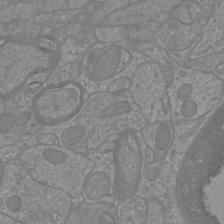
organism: Mouse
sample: Cortical neurons